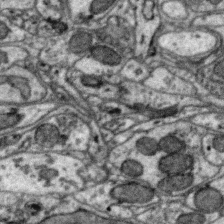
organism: Zebra finch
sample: Brain